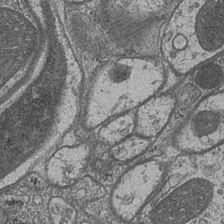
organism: Drosophila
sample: Optic medulla